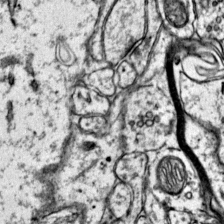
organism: Mouse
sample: Primary visual cortex